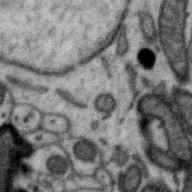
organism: Zebra finch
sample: Brain